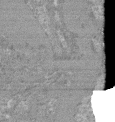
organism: Mouse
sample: Glomerulus